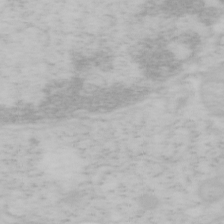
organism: Mouse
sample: OT-I killer T cells with ID8 ovarian cancer cells